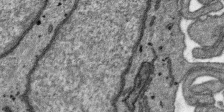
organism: Human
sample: Lung epithelial cells, uninfected (mock) control